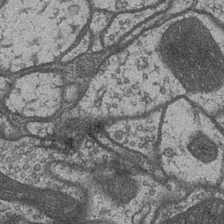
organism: Drosophila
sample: Optic medulla